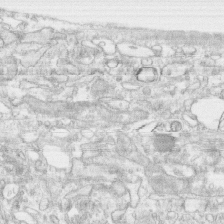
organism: Human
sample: CRL-1474